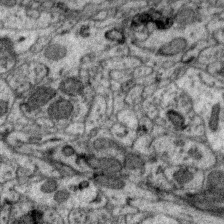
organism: Zebra finch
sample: Brain